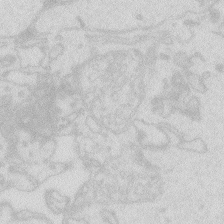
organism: Zebrafish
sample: Macrophage